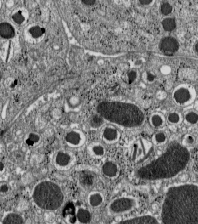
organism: C57BL Mouse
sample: Pancreatic islet